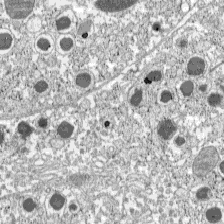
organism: C57BL Mouse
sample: Pancreatic islet